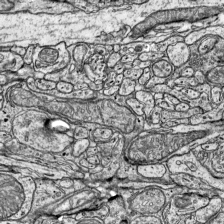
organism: Mouse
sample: Visual Cortex